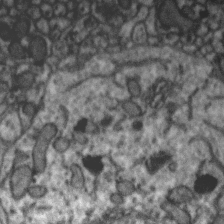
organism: Zebra finch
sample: Brain